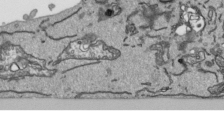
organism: Human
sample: Mitochondria in HCT116 cells